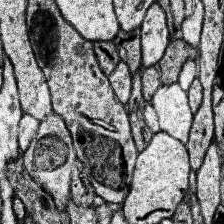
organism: Human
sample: Temporal Lobe